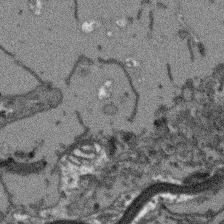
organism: Arabidopsis thaliana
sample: Root tip